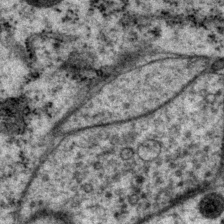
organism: P. pacificus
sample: Pharynx